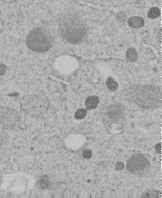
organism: C. elegans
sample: C. elegans embryo early stage